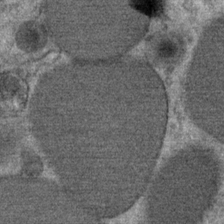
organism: Mouse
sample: Mouse Salivary gland